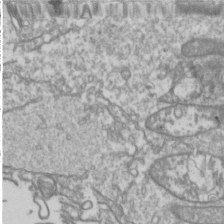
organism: Drosophila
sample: Cell division; meiosis; drosophila spermatocytes